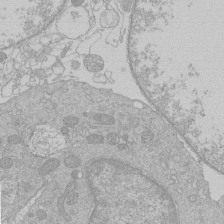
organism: Human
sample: Macrophage cells